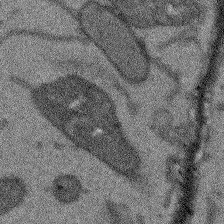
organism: Arabidopsis thaliana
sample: Root tip